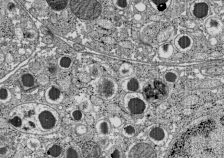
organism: C57BL Mouse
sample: Pancreatic islet